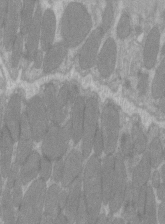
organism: C57BL Mouse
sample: Tibialis anterior muscle cell